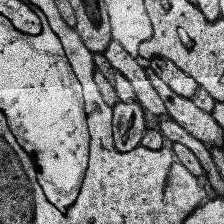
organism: Human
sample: Temporal Lobe